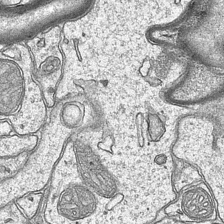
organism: Mouse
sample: CA1 Hippocampus